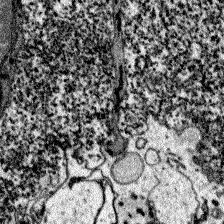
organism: Zebrafish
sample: Larval olfactory bulb